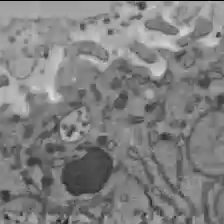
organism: C57BL Mouse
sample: Liver